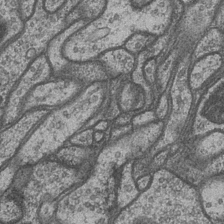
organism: Drosophila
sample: Optic medulla